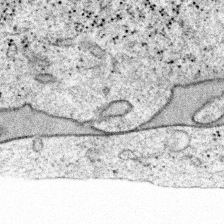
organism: Human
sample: HeLa cells